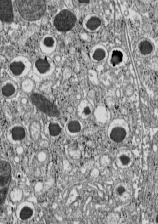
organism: C57BL Mouse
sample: Pancreatic islet